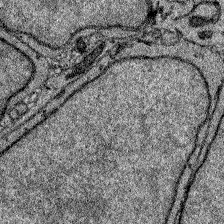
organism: Zebrafish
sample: Larval olfactory bulb